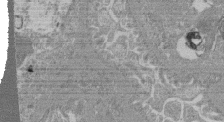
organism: Mouse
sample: Glomerulus